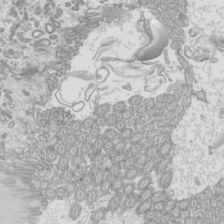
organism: Mouse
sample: Cilia; mouse epididymis